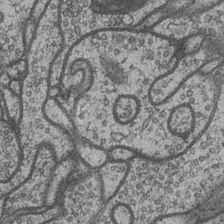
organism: Drosophila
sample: Optic medulla